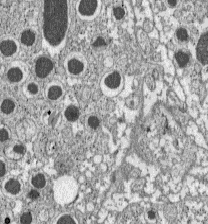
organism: C57BL Mouse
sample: Pancreatic islet